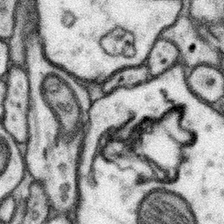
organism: Mouse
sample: Somatosensory cortex neuropil